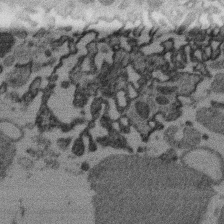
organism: Mouse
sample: Dividing mouse embryo 1 cell stage